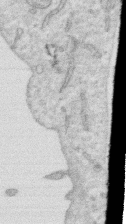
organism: Human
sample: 1205lu cells